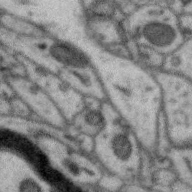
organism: Zebra finch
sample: Brain